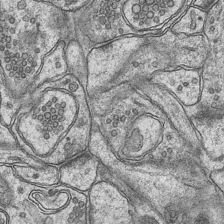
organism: Mouse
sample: CA1 Hippocampus